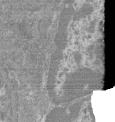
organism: Mouse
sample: Glomerulus